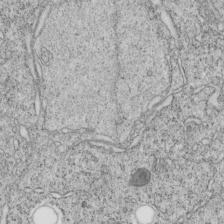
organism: C. elegans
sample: C. elegans embryo early stage